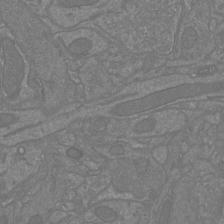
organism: Mouse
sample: Cortical neurons